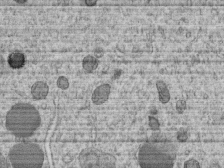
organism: C. elegans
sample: C. elegans embryo early stage